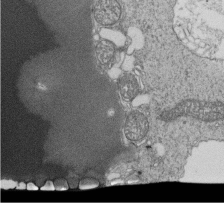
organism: Tetrahymena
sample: Cilia in tetrahymena